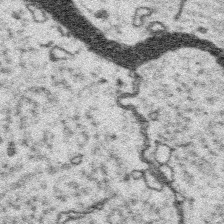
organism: Platynereis dumerilii